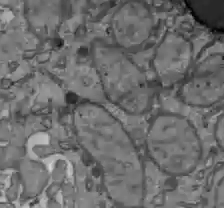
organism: C57BL Mouse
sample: Liver